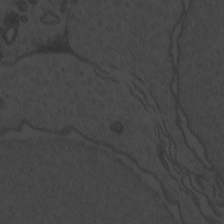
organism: Zebrafish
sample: Macrophage infected with Toxoplasma gondii